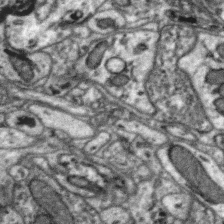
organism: Zebra finch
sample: Brain